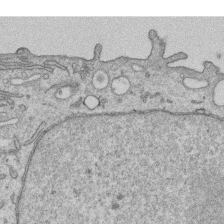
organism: Human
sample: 1205lu cells